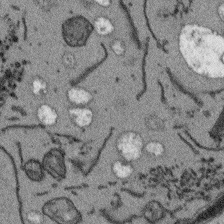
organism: Arabidopsis thaliana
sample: Root tip